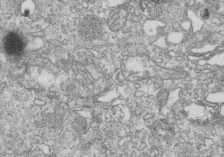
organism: Human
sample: HeLa cell HIV synapse